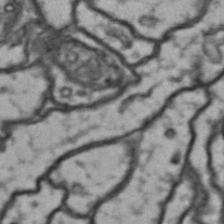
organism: Drosophila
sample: Brain